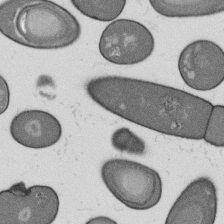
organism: B. subtilis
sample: Bacterial spore